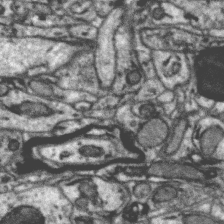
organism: Zebra finch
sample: Brain